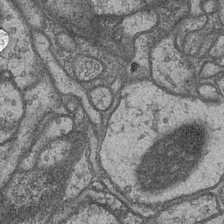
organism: Drosophila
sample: Optic medulla